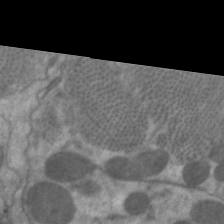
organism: C. elegans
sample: Pharynx